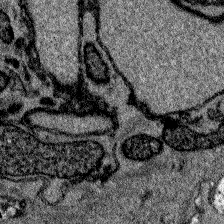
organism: Zebrafish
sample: Larval olfactory bulb